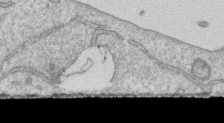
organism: Human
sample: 1205lu cells